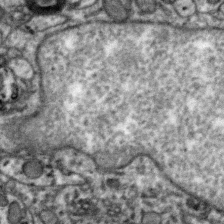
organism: Zebra finch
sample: Brain